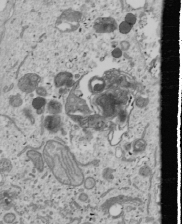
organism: Human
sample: Mitochondria in U2OS cells